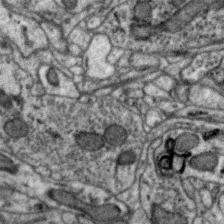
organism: Zebra finch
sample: Brain